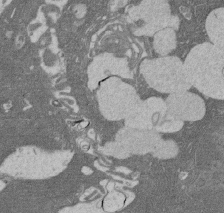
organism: Rat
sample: Salivary granule